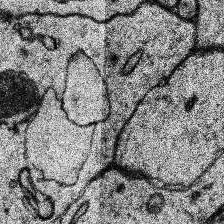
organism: Human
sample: Temporal Lobe